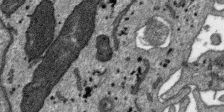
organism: Human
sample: Lung epithelial cells, uninfected (mock) control